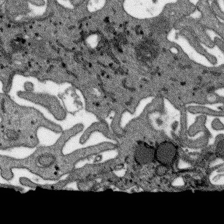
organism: Human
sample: Lung epithelial cells, uninfected (mock) control